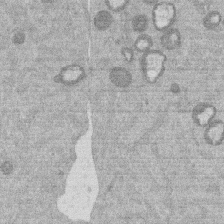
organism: Mouse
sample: Dividing mouse embryo 1 cell stage